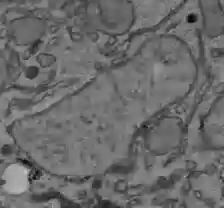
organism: C57BL Mouse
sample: Liver